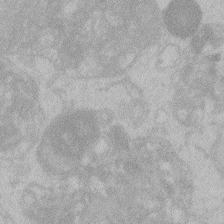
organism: Zebrafish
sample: Macrophage infected with Toxoplasma gondii